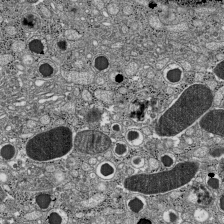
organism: C57BL Mouse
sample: Pancreatic islet